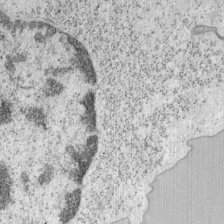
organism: Mouse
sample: OT-I killer T cells with ID8 ovarian cancer cells